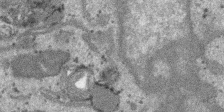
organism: Human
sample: Lung epithelial cells infected with SARS-CoV-2